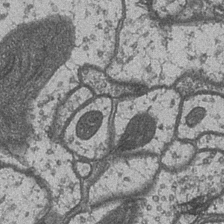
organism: Drosophila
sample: Optic medulla